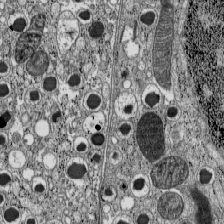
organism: C57BL Mouse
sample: Pancreatic islet